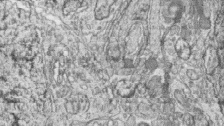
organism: Zebrafish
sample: synaptic ribbons in rod cells and cone cells